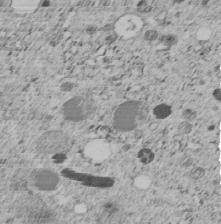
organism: C. elegans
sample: C. elegans embryo early stage